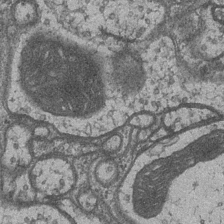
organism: Drosophila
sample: Optic medulla